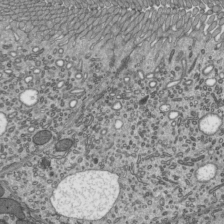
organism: Mouse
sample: Mouse epididymis efferent ductule cilia